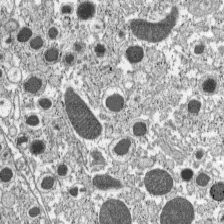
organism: C57BL Mouse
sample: Pancreatic islet